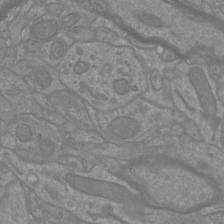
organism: Mouse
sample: Cortical neurons